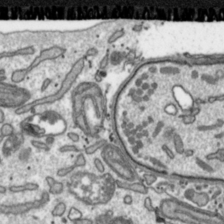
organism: Toxoplasma gondii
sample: Parasites in a vacuole inside a host cell